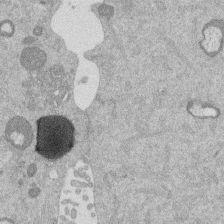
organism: Mouse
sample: Dividing mouse embryo 1 cell stage